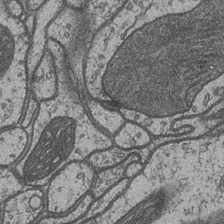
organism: Drosophila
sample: Optic medulla